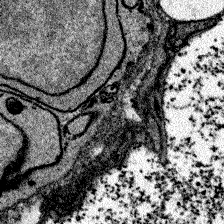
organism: Zebrafish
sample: Larval olfactory bulb